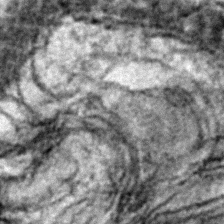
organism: Zebrafish